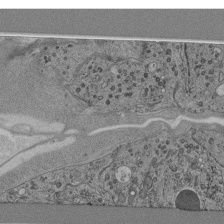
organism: C. elegans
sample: C. elegans pharynx